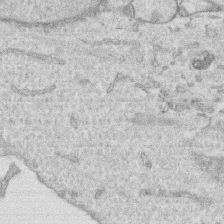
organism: Human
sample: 1205lu cells